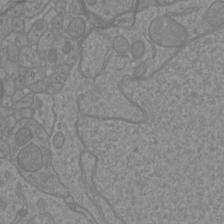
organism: Mouse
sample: Cortical neurons